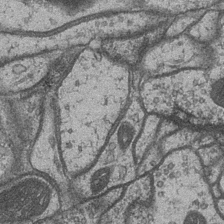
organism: Drosophila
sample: Optic medulla